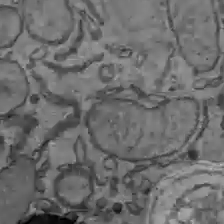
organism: C57BL Mouse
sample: Liver